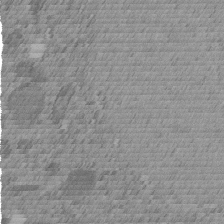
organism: C. elegans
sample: C. elegans embryo early stage